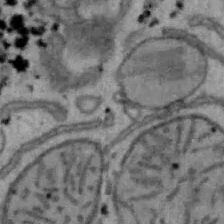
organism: Mouse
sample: Liver